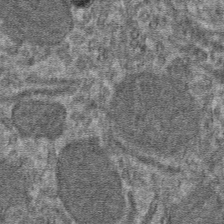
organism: Mouse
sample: Mouse hepatocytes